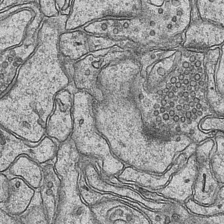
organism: Mouse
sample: CA1 Hippocampus